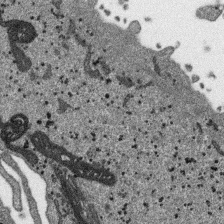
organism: Human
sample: Lung epithelial cells infected with SARS-CoV-2